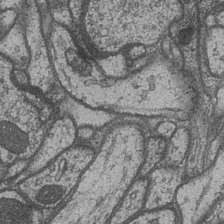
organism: Drosophila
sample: Optic medulla